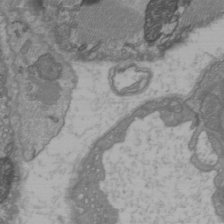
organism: C57BL Mouse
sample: Heart